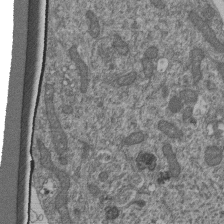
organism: Human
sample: Retinal organoid Rod and Cone cells